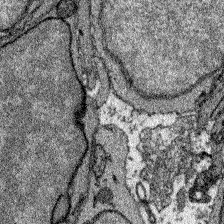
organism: Zebrafish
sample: Larval olfactory bulb